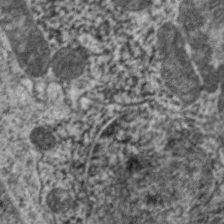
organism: C. elegans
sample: Pharynx